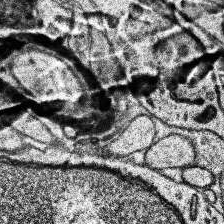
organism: Human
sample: Temporal Lobe